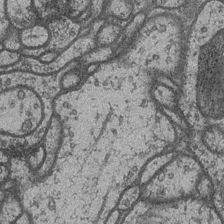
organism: Drosophila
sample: Optic medulla